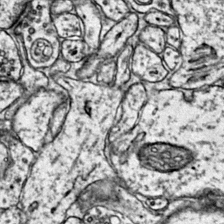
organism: Mouse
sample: Primary visual cortex